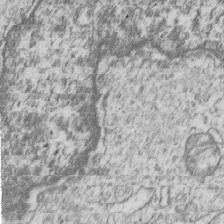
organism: Human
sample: MDA-MB-231 cells